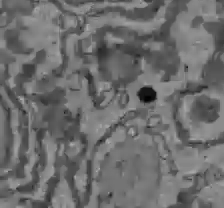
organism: C57BL Mouse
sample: Liver